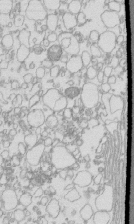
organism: Mouse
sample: Macrophages